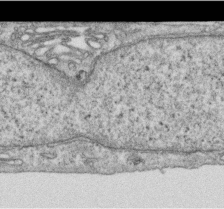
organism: Human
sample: Centriole in RPE cells